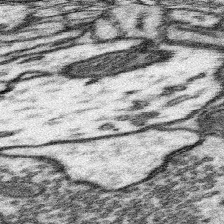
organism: Mouse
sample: Somatosensory cortex neuropil